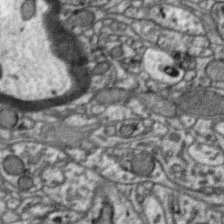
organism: Zebra finch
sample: Brain